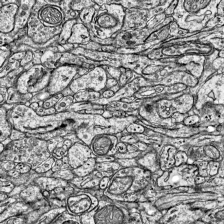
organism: Mouse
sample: Visual Cortex